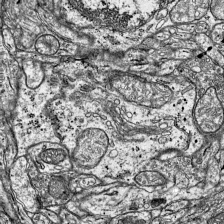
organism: Mouse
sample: Visual Cortex